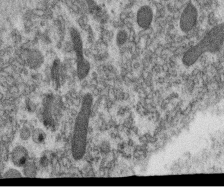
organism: C. elegans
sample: C. elegans oocyte; sperm cells